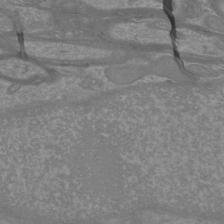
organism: Mouse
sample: Cortical neurons